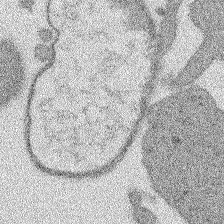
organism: Human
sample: HeLa cells